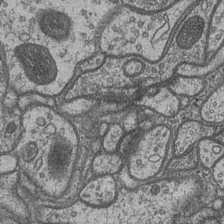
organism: Drosophila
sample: Optic medulla